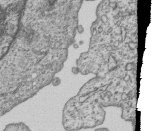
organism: Human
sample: MDA-MB-231 cells